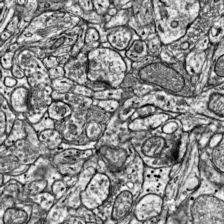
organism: Mouse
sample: Visual Cortex